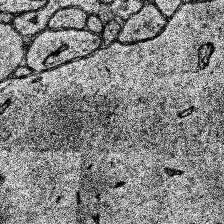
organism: Human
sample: Temporal Lobe